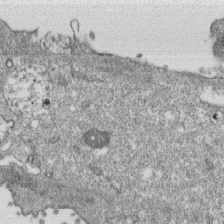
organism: African green monkey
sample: Vero E6 cells infected with SARS-CoV-2